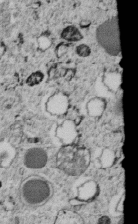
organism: C. elegans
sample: C. elegans embryo early stage